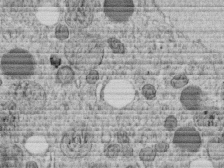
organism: C. elegans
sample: C. elegans embryo early stage